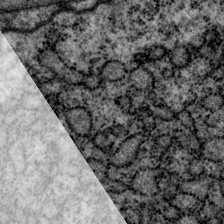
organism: P. pacificus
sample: Pharynx